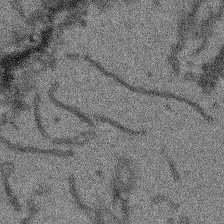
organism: Arabidopsis thaliana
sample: Root tip